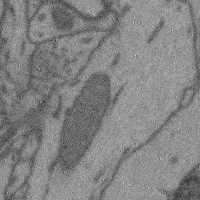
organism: Mouse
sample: Cerebral cortex